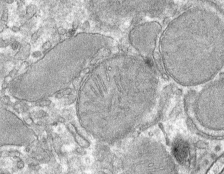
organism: Mouse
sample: Mouse hepatocytes